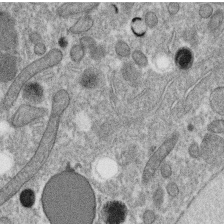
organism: C. elegans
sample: C. elegans oocyte; sperm cells